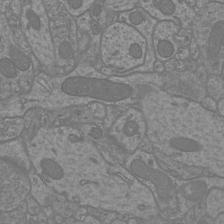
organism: Mouse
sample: Cortical neurons